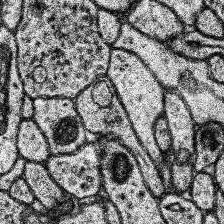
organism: Human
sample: Temporal Lobe